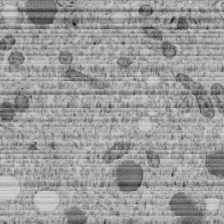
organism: C. elegans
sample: C. elegans embryo early stage